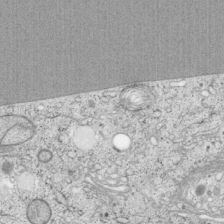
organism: African green monkey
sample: COS-7 cells